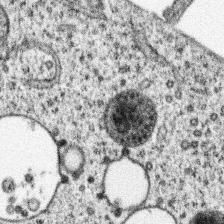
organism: Human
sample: HeLa cells